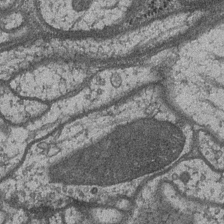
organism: Drosophila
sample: Optic medulla